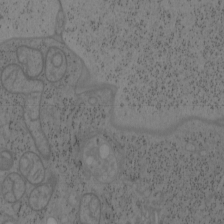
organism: Mouse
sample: OT-I killer T cells with ID8 ovarian cancer cells